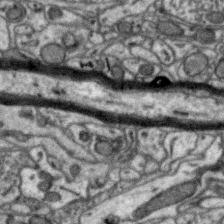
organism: Zebra finch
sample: Brain